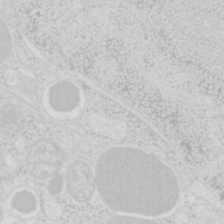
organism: Mouse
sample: Pancreas